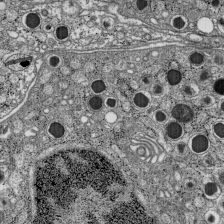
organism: C57BL Mouse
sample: Pancreatic islet